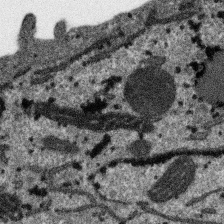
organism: Human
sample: Lung epithelial cells infected with SARS-CoV-2